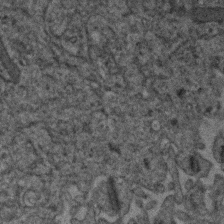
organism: Human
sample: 1205lu cells